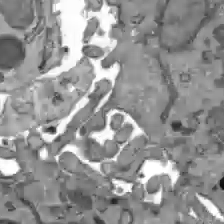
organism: C57BL Mouse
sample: Liver